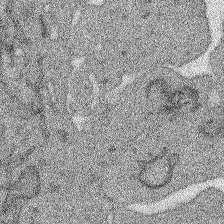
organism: Human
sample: HeLa cells